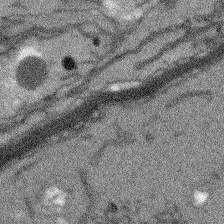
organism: Arabidopsis thaliana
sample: Root tip